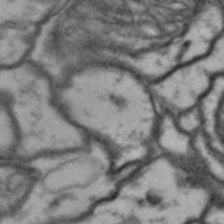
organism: Drosophila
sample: Brain